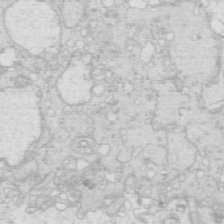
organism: Mouse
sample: Multiciliated cells